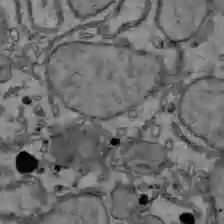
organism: C57BL Mouse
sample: Liver